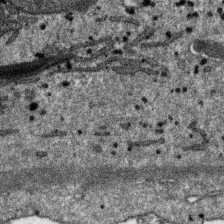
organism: Human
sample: Lung epithelial cells infected with SARS-CoV-2